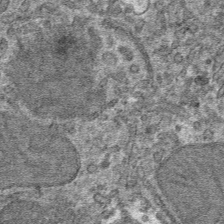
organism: Mouse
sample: Mouse hepatocytes